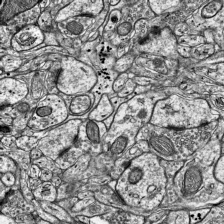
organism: Mouse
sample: Visual Cortex